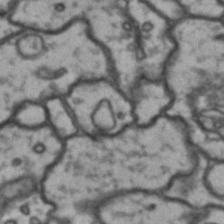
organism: Drosophila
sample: Brain